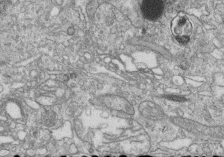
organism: Human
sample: HeLa cell HIV synapse